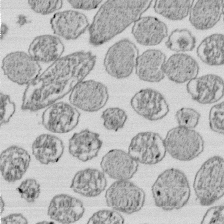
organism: E. coli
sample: Bacterial nucleoid